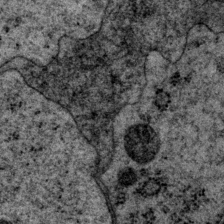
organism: P. pacificus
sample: Pharynx